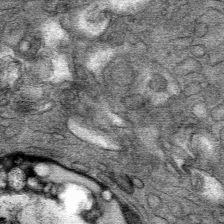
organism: Mouse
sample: Mouse Salivary gland